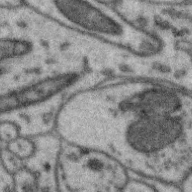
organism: Zebra finch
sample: Brain